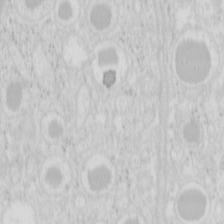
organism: Mouse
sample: Pancreas